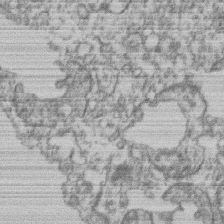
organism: Mouse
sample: T cell stromal cell synapse